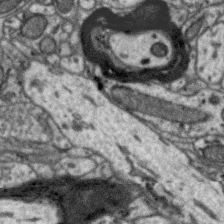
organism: Zebra finch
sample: Brain